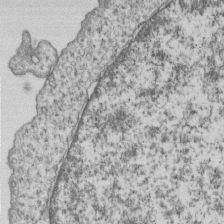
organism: Human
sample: MDA-MB-231 cells